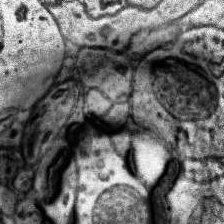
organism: Human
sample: Temporal Lobe